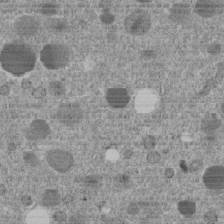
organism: C. elegans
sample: C. elegans embryo early stage